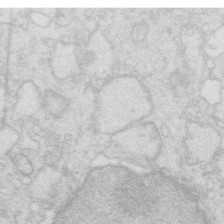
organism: Mouse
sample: Multiciliated cells